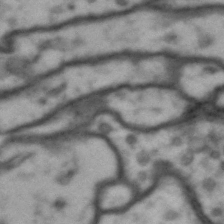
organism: Drosophila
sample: Brain